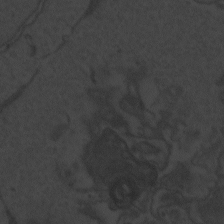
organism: Zebrafish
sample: Macrophage infected with Toxoplasma gondii